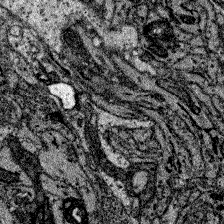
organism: Zebrafish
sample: Larval olfactory bulb